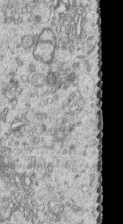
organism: Human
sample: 1205lu cells